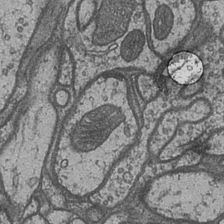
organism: Drosophila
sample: Optic medulla